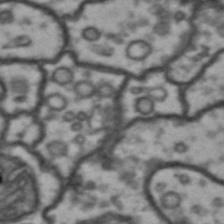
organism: Drosophila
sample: Brain